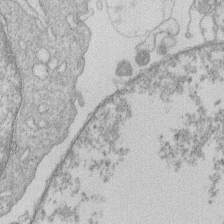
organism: Human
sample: Macrophage cells